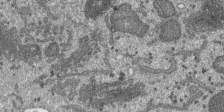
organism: Human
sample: Lung epithelial cells infected with SARS-CoV-2